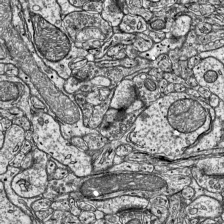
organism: Mouse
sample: Visual Cortex